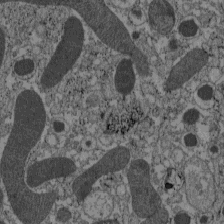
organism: C57BL Mouse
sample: Pancreatic islet